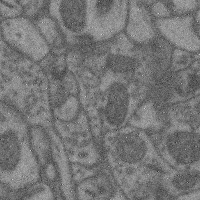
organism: Mouse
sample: Cerebral cortex